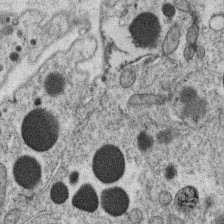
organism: C. elegans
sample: C. elegans oocyte; sperm cells